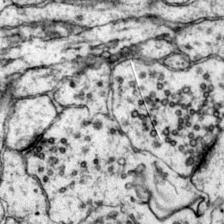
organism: Mouse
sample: Primary visual cortex